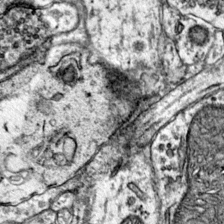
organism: Mouse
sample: Primary visual cortex